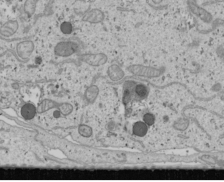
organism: Human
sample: Mitochondria in U2OS cells